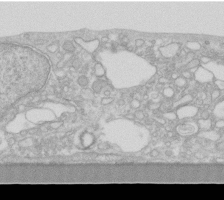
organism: Human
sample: Fibroblast cells